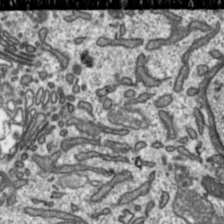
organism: Toxoplasma gondii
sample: Parasites in a vacuole inside a host cell